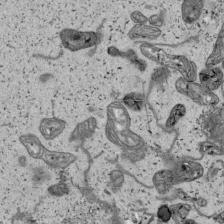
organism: Human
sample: Mitochondria in HCT116 cells